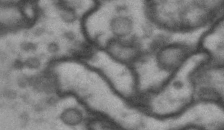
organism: Drosophila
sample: Brain